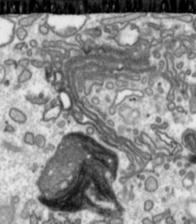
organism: Toxoplasma gondii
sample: Parasites in a vacuole inside a host cell